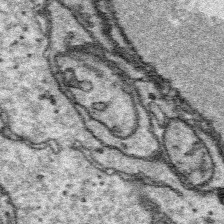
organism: Platynereis dumerilii